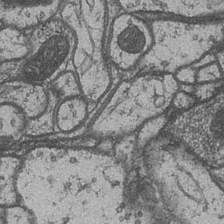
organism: Drosophila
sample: Optic medulla